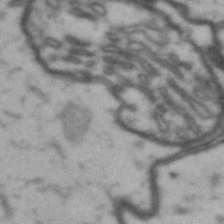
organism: Drosophila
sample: Brain